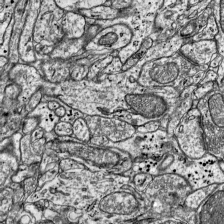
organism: Mouse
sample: Visual Cortex